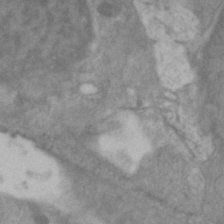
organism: Zebrafish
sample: Zebrafish embryo